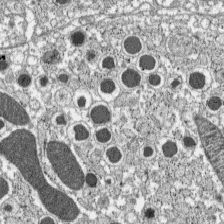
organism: C57BL Mouse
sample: Pancreatic islet